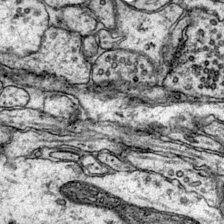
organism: Mouse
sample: Primary visual cortex